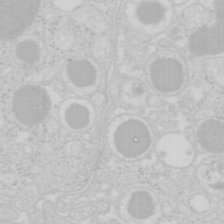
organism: Mouse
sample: Pancreas